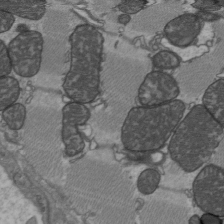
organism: C57BL Mouse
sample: Heart